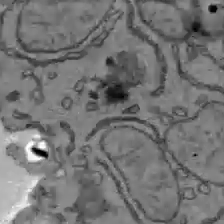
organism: C57BL Mouse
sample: Liver